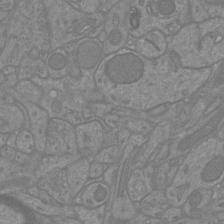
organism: Mouse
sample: Cortical neurons